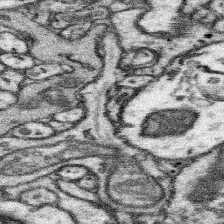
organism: Mouse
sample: Somatosensory cortex neuropil